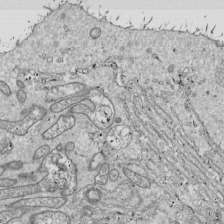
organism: Drosophila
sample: Cell division; meiosis; drosophila spermatocytes